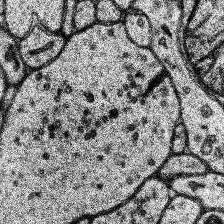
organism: Human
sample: Temporal Lobe